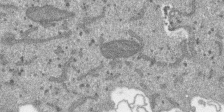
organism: Human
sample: Lung epithelial cells infected with SARS-CoV-2